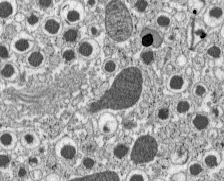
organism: C57BL Mouse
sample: Pancreatic islet